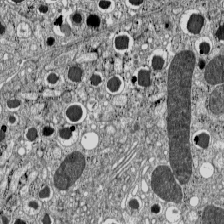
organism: C57BL Mouse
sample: Pancreatic islet